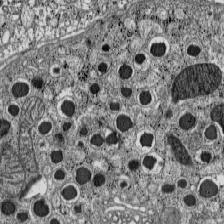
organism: C57BL Mouse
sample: Pancreatic islet